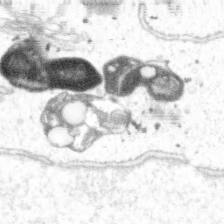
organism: Human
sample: HeLa cells